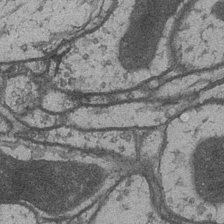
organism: Drosophila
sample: Optic medulla